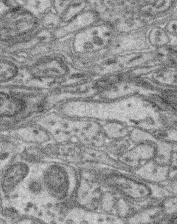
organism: Mouse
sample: Retina